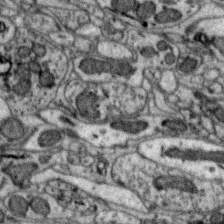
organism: Zebra finch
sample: Brain